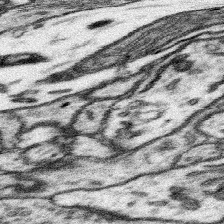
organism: Mouse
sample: Somatosensory cortex neuropil